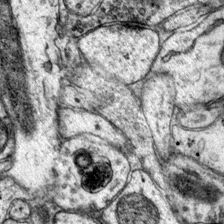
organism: Mouse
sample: Primary visual cortex